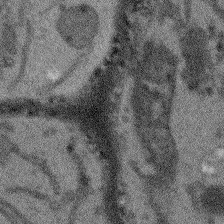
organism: Arabidopsis thaliana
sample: Root tip